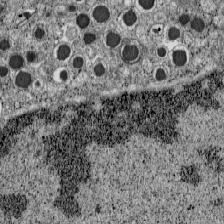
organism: C57BL Mouse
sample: Pancreatic islet